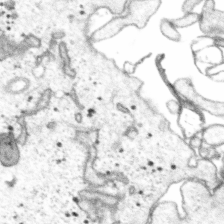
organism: Human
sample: HeLa cells